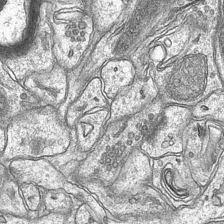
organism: Mouse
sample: CA1 Hippocampus